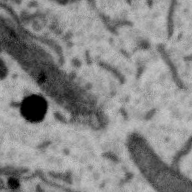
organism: Zebra finch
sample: Brain